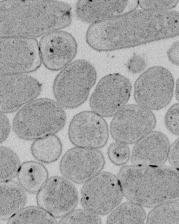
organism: E. coli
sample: Bacterial nucleoid